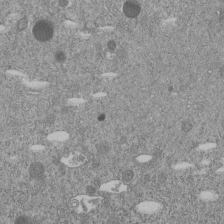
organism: C. elegans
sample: C. elegans embryo early stage